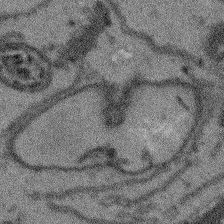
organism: Arabidopsis thaliana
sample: Root tip